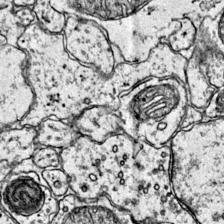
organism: Mouse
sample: Primary visual cortex